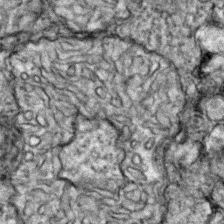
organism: Zebrafish